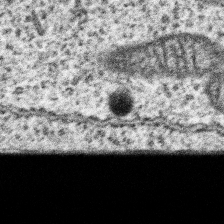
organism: Human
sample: HeLa cells